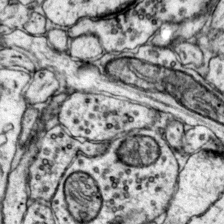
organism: Mouse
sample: Primary visual cortex